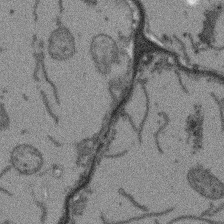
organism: Arabidopsis thaliana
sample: Root tip